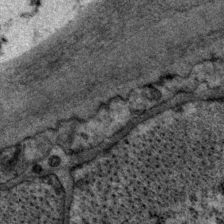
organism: P. pacificus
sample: Pharynx